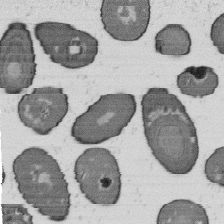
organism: B. subtilis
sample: Bacterial spore